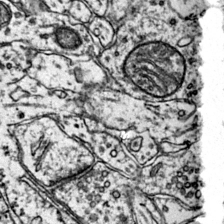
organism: Mouse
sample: Primary visual cortex